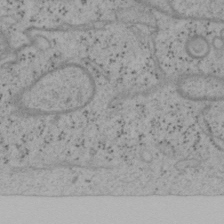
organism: Human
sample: HeLa cells